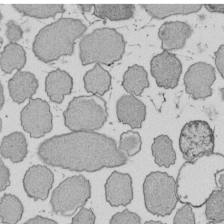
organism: E. coli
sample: Bacterial nucleoid